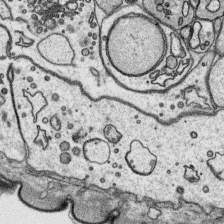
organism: Platynereis dumerilii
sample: Parapodia